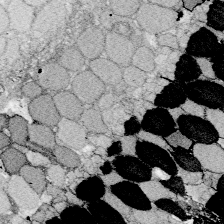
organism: Zebrafish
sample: Whole-Brain